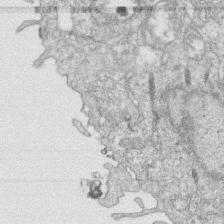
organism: Human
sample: HeLa cell HIV synapse